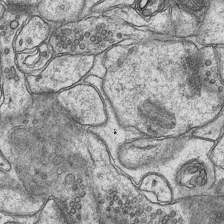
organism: Mouse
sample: CA1 Hippocampus